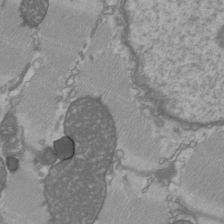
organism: C57BL Mouse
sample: Heart